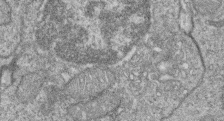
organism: Zebrafish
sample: Cilia; retinal pigment epithelium